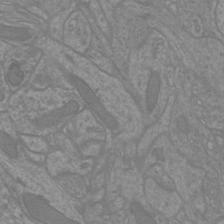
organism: Mouse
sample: Cortical neurons